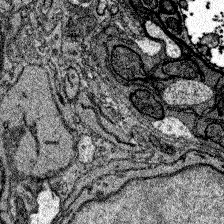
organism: Zebrafish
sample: Larval olfactory bulb